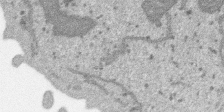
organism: Human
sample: Lung epithelial cells infected with SARS-CoV-2